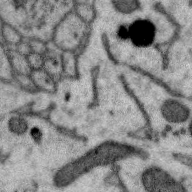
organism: Zebra finch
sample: Brain